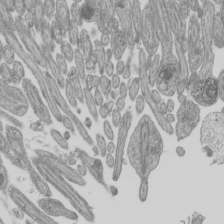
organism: Mouse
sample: Cilia; mouse epididymis